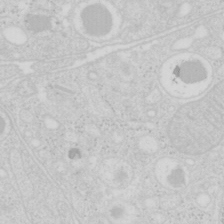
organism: Mouse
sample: Pancreas